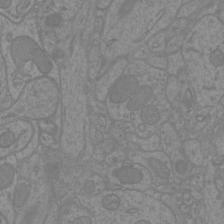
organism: Mouse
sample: Cortical neurons